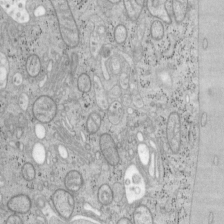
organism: Mouse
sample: OT-I killer T cells with ID8 ovarian cancer cells